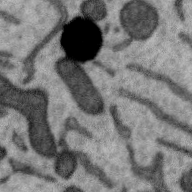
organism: Zebra finch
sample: Brain